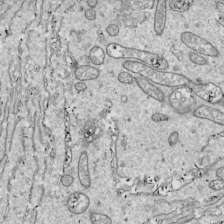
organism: Drosophila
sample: Cell division; meiosis; drosophila spermatocytes